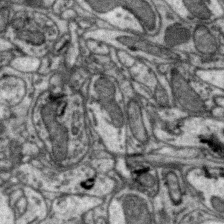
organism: Zebra finch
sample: Brain